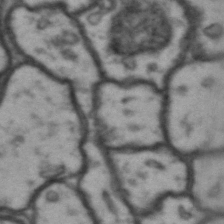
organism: Drosophila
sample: Brain